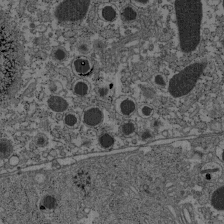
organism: C57BL Mouse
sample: Pancreatic islet